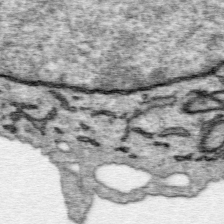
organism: Human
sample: HeLa cells